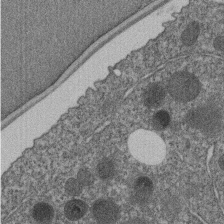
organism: C. elegans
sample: C. elegans embryo early stage